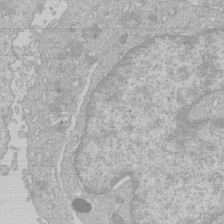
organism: Human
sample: Macrophage cells